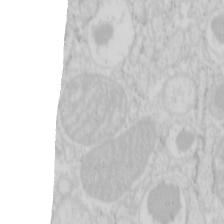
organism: Mouse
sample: Pancreas